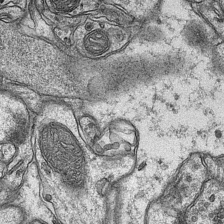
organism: Mouse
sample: CA1 Hippocampus